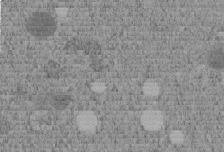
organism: C. elegans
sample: C. elegans embryo early stage